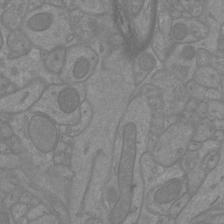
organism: Mouse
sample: Cortical neurons